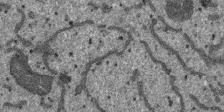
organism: Human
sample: Lung epithelial cells infected with SARS-CoV-2